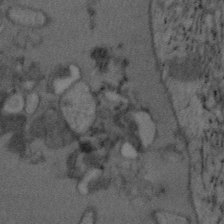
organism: Human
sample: HeLa cells